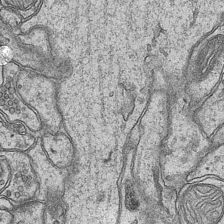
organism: Mouse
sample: CA1 Hippocampus